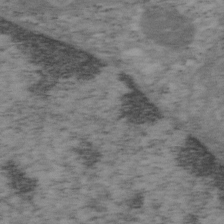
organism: Mouse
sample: OT-I killer T cells with ID8 ovarian cancer cells